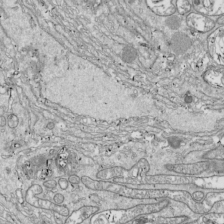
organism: Drosophila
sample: Cell division; meiosis; drosophila spermatocytes